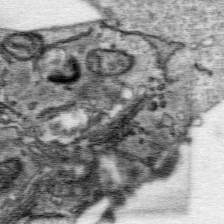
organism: Human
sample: HeLa cells